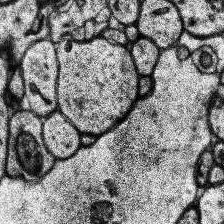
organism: Human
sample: Temporal Lobe